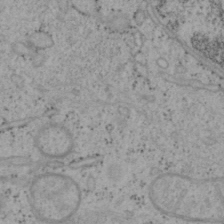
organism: Human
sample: HeLa cells